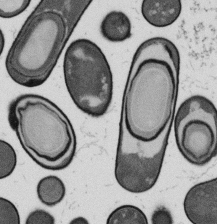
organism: B. subtilis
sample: Bacterial spore